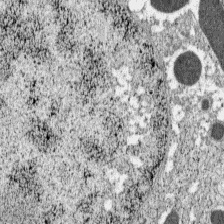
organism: C57BL Mouse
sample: Pancreatic islet